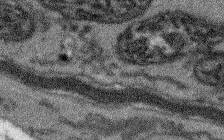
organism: Arabidopsis thaliana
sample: Root tip